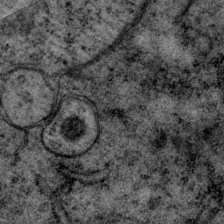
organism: P. pacificus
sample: Pharynx